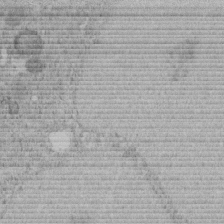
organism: C. elegans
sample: C. elegans embryo early stage